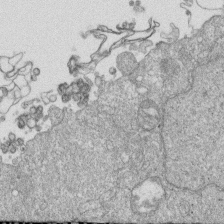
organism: Human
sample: HeLa cell HIV synapse